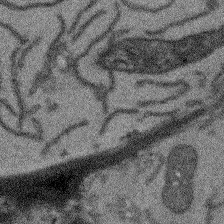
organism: Arabidopsis thaliana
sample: Root tip